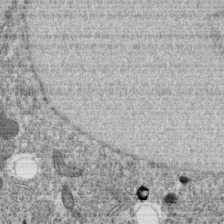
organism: C. elegans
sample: C. elegans oocyte; sperm cells